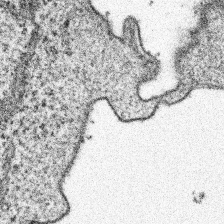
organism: Human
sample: HeLa cells